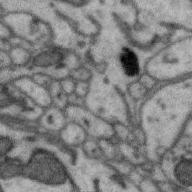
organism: Zebra finch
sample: Brain